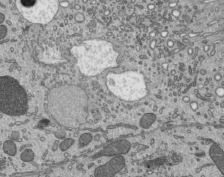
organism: Mouse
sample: Mouse epididymis efferent ductule cilia